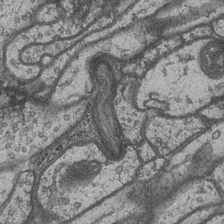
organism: Drosophila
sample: Optic medulla